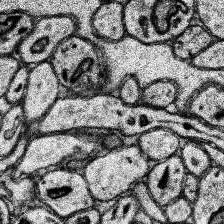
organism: Human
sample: Temporal Lobe